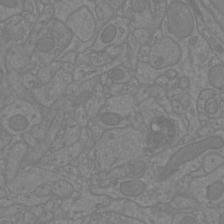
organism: Mouse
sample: Cortical neurons